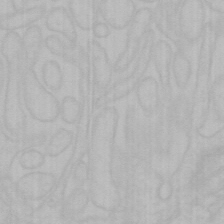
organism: Mouse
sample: Choroid plexus